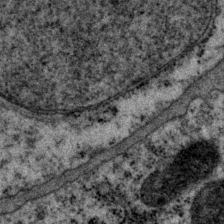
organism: P. pacificus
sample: Pharynx